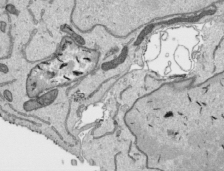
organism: Human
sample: Mitochondria in HCT116 cells